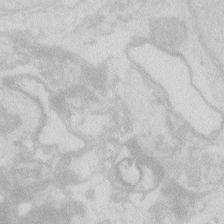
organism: Zebrafish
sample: Macrophage